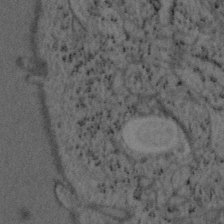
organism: Human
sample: HeLa cells